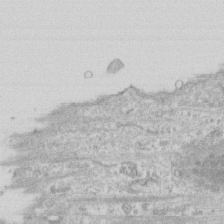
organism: Human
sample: Fibroblast cells